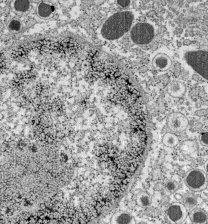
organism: C57BL Mouse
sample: Pancreatic islet